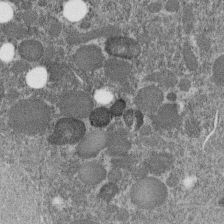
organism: C. elegans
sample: C. elegans embryo early stage